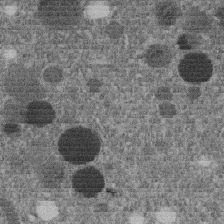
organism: C. elegans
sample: C. elegans embryo early stage